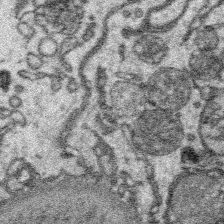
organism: Platynereis dumerilii